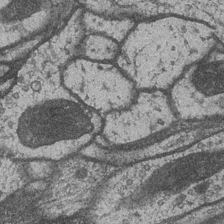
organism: Drosophila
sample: Optic medulla